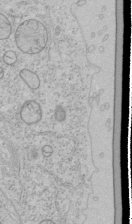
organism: Human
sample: Mitochondria in HCT116 cells